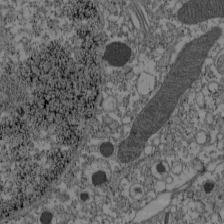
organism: C57BL Mouse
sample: Pancreatic islet